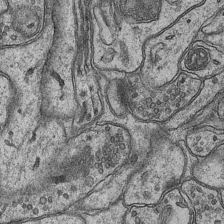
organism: Mouse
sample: CA1 Hippocampus